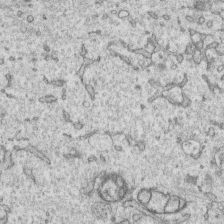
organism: Human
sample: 1205lu cells